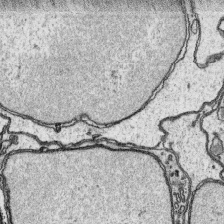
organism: Platynereis dumerilii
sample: Parapodia